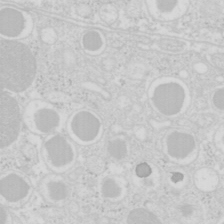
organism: Mouse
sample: Pancreas